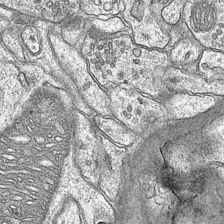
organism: Mouse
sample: CA1 Hippocampus